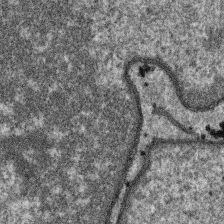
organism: Human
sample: Lung epithelial cells infected with SARS-CoV-2